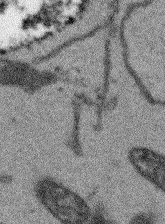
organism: Arabidopsis thaliana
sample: Root tip